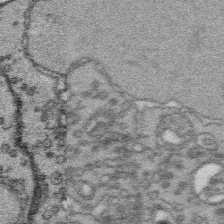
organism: Platynereis dumerilii